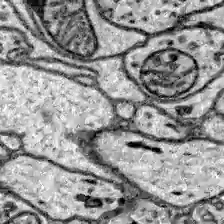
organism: Zebrafish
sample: Brain